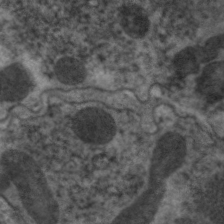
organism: C. elegans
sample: Pharynx